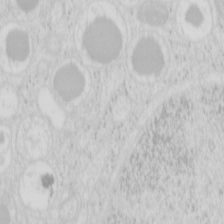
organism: Mouse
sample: Pancreas